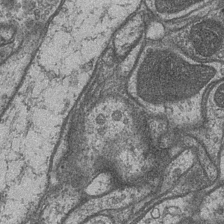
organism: Drosophila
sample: Optic medulla